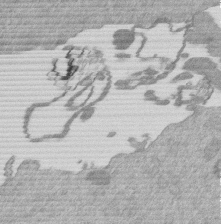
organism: Mouse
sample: Dividing mouse embryo 1 cell stage